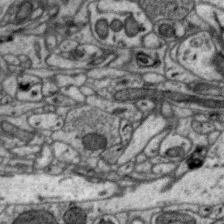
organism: Zebra finch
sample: Brain